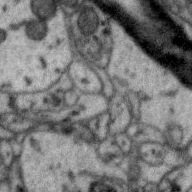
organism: Zebra finch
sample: Brain